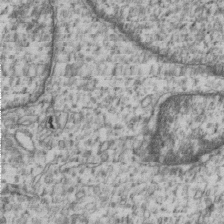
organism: Human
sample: MDA-MB-231 cells